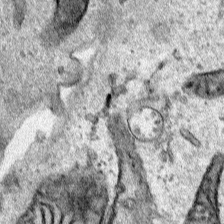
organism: Human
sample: Mitochondria in HCT116 cells